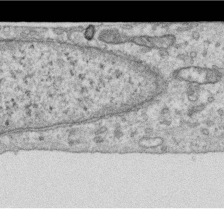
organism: Human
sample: Centriole in RPE cells